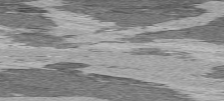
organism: C57BL Mouse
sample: Heart